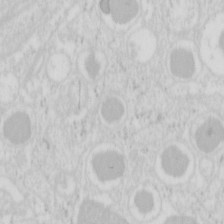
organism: Mouse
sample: Pancreas